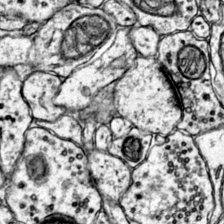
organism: Mouse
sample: Primary visual cortex